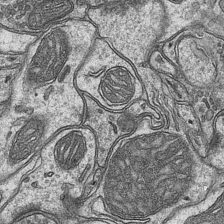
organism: Mouse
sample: CA1 Hippocampus